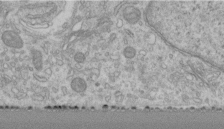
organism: Human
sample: Centriole in RPE cells